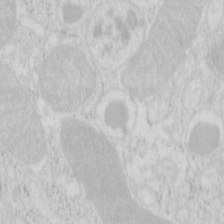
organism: Mouse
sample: Pancreas